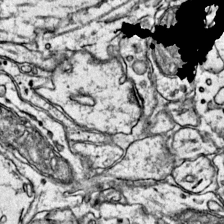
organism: Mouse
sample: Primary visual cortex